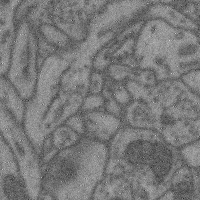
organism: Mouse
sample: Cerebral cortex